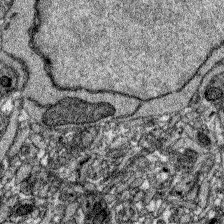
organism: Zebrafish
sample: Larval olfactory bulb